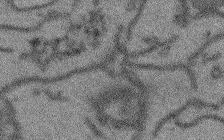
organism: Arabidopsis thaliana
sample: Root tip